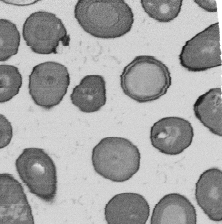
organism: B. subtilis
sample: Bacterial spore